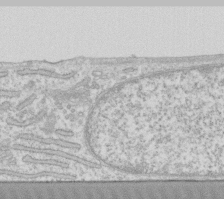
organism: Human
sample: Fibroblast cells